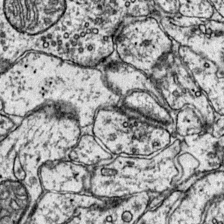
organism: Mouse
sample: Primary visual cortex